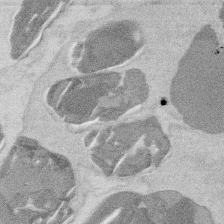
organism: Mouse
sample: T cell stromal cell synapse